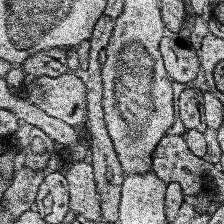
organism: Human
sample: Temporal Lobe